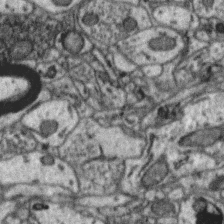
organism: Zebra finch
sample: Brain